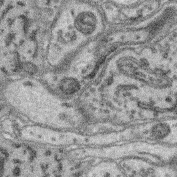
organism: Mouse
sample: Retina